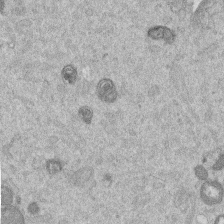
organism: Mouse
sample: Dividing mouse embryo 1 cell stage